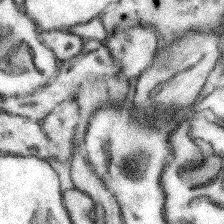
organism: Mouse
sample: Somatosensory cortex neuropil